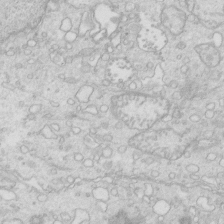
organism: Mouse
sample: Multiciliated cells